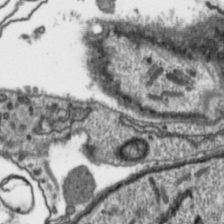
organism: Toxoplasma gondii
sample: Parasites in a vacuole inside a host cell